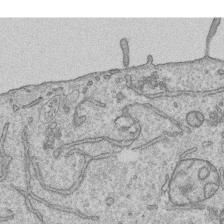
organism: Human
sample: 1205lu cells